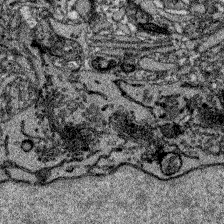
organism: Zebrafish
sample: Larval olfactory bulb